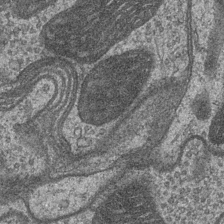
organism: Drosophila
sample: Optic medulla